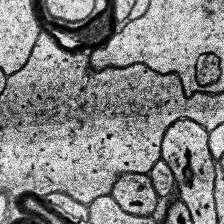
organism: Human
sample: Temporal Lobe